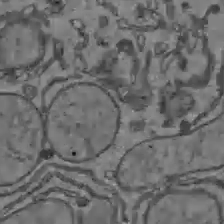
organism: C57BL Mouse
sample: Liver